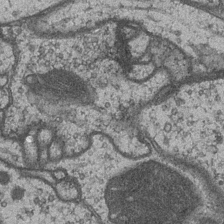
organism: Drosophila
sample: Optic medulla